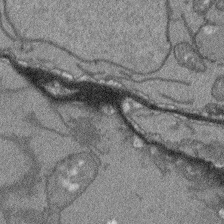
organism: Arabidopsis thaliana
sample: Root tip